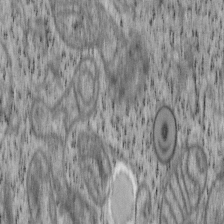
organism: Human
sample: HeLa cells